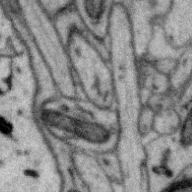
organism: Zebra finch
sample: Brain